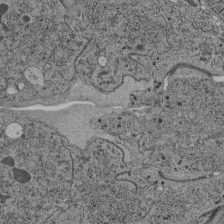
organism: C. elegans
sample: C. elegans pharynx